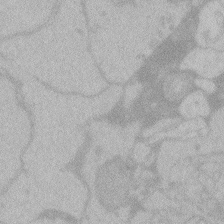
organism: Zebrafish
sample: Macrophage infected with Toxoplasma gondii